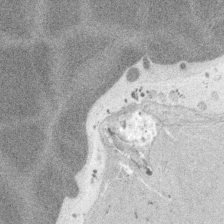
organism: Embia sp.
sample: Silk gland